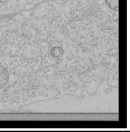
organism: Human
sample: Mitochondria in HCT116 cells